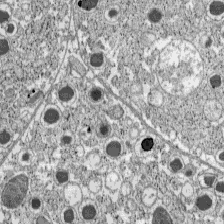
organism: C57BL Mouse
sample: Pancreatic islet